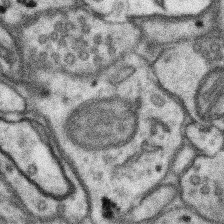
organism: Mouse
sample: Somatosensory cortex neuropil